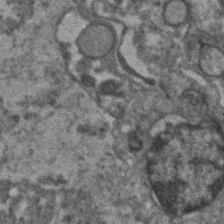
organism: Human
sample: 1205lu cells